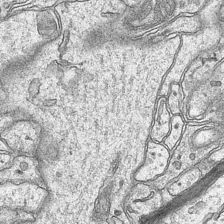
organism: Mouse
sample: CA1 Hippocampus